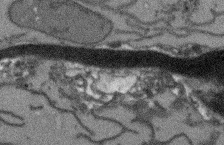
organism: Arabidopsis thaliana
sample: Root tip